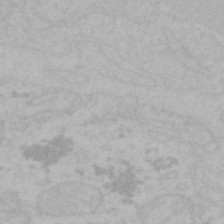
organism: Mouse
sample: Choroid plexus